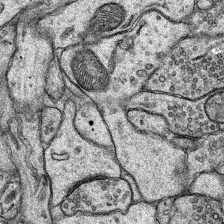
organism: Rat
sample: Hippocampus